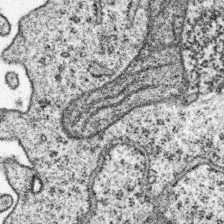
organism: Human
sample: HeLa cells